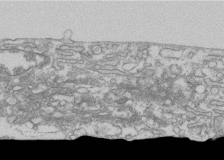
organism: Human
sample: Fibroblast cells